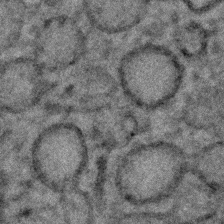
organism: C. elegans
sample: C. elegans embryo